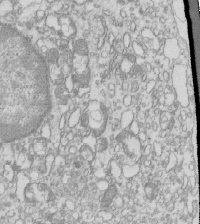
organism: Mouse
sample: Macrophages